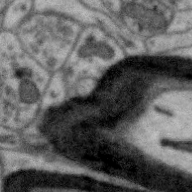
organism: Zebra finch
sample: Brain